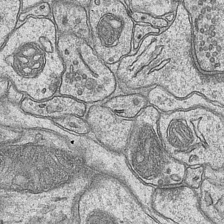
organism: Mouse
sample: CA1 Hippocampus